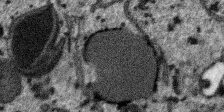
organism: Human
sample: Lung epithelial cells infected with SARS-CoV-2